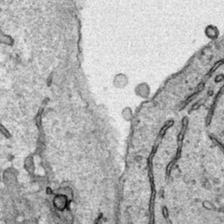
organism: Human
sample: Mitochondria in HCT116 cells